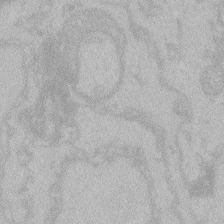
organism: Zebrafish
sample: Macrophage infected with Toxoplasma gondii